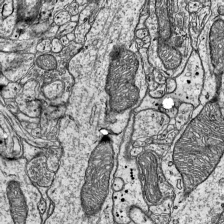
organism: Mouse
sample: Visual Cortex